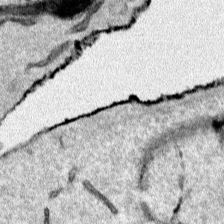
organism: Human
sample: Mitochondria in HCT116 cells